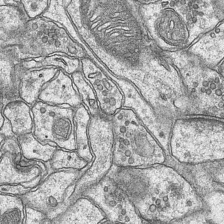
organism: Mouse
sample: CA1 Hippocampus